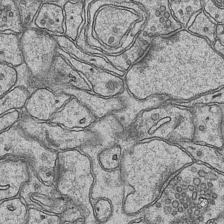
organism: Mouse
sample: CA1 Hippocampus